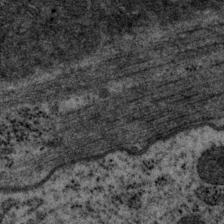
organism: P. pacificus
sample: Pharynx